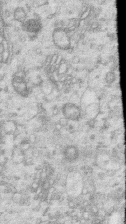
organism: Human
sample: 1205lu cells